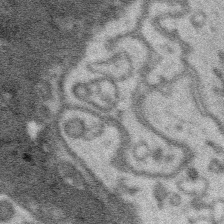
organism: Platynereis dumerilii